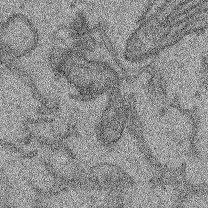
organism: Human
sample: HeLa cells